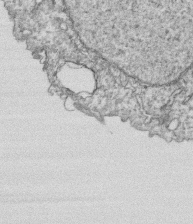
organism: Human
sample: HeLa cell HIV synapse